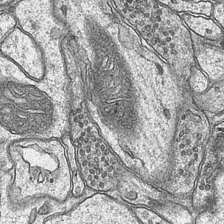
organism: Mouse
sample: CA1 Hippocampus